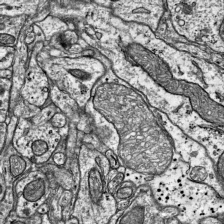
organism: Mouse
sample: Visual Cortex